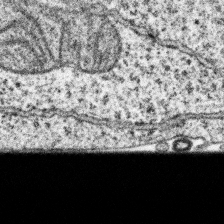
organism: Human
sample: HeLa cells